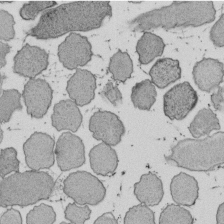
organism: E. coli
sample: Bacterial nucleoid